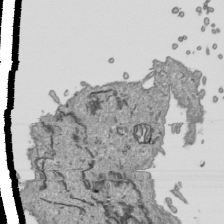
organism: Human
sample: Mitochondria in HCT116 cells